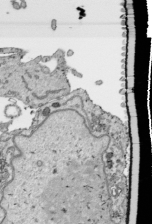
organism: Human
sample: Mitochondria in HCT116 cells